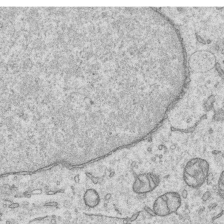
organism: Human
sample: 1205lu cells